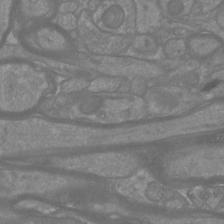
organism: Mouse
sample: Cortical neurons